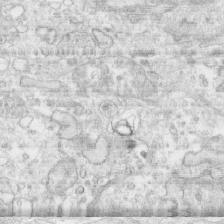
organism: Human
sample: CRL-1474